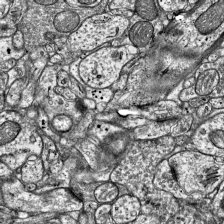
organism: Mouse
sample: Visual Cortex